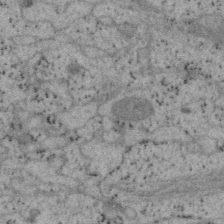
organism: Human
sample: HeLa cells